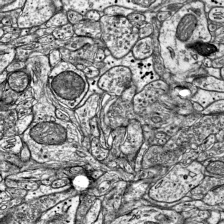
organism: Mouse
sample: Visual Cortex